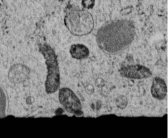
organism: C. elegans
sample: C. elegans embryo early stage